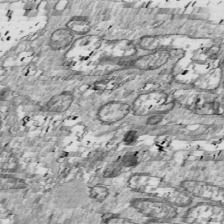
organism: Drosophila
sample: Cell division; meiosis; drosophila spermatocytes